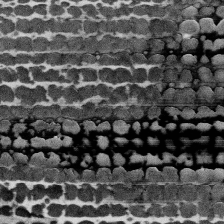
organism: Human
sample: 1205lu cells